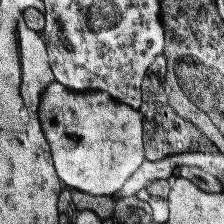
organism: Human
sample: Temporal Lobe